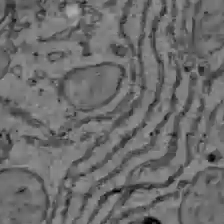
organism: C57BL Mouse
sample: Liver